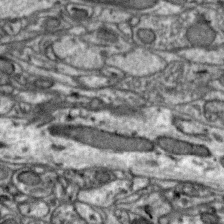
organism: Zebra finch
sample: Brain